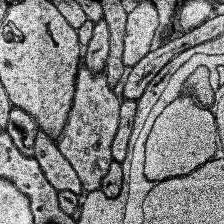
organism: Human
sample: Temporal Lobe